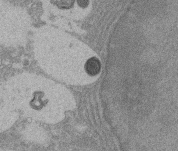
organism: Rat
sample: Salivary granule